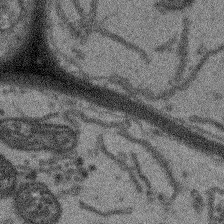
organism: Arabidopsis thaliana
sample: Root tip